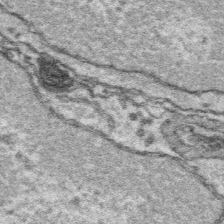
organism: Platynereis dumerilii